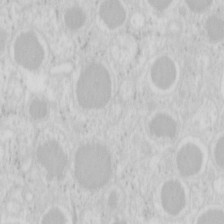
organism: Mouse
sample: Pancreas